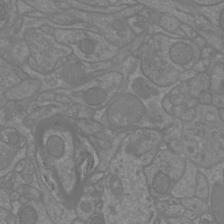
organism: Mouse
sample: Cortical neurons